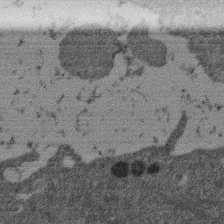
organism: Mouse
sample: Dividing mouse embryo 1 cell stage